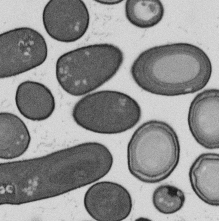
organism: B. subtilis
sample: Bacterial spore